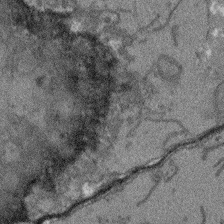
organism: Arabidopsis thaliana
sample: Root tip